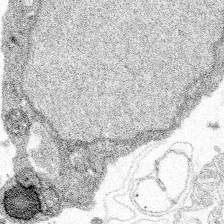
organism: Spongilla lacustris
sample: Multiple